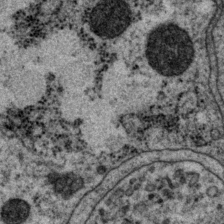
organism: P. pacificus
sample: Pharynx